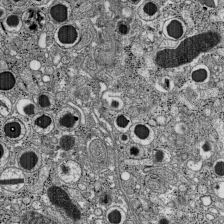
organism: C57BL Mouse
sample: Pancreatic islet